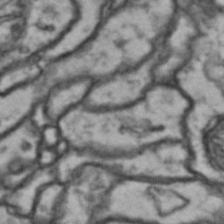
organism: Drosophila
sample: Brain